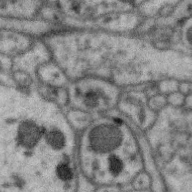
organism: Zebra finch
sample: Brain